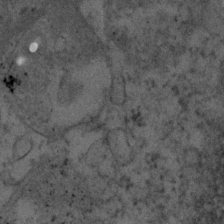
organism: Human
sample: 1205lu cells